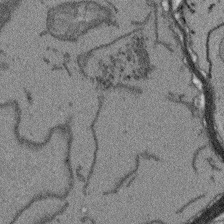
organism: Arabidopsis thaliana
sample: Root tip